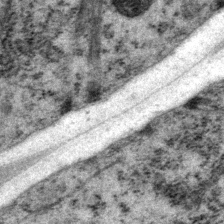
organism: P. pacificus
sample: Pharynx